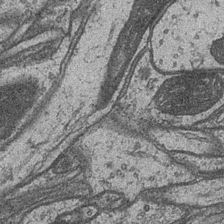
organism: Drosophila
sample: Optic medulla